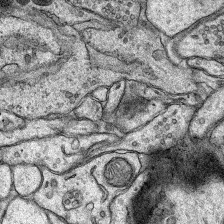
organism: Rat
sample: Hippocampus